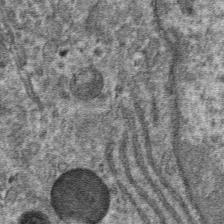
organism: Mouse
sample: Mouse hepatocytes